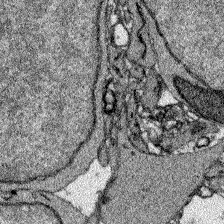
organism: Zebrafish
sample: Larval olfactory bulb